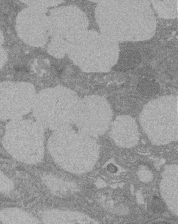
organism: Rat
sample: Salivary granule